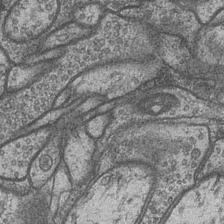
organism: Drosophila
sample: Optic medulla